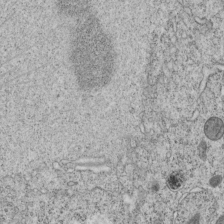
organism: C. elegans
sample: C. elegans embryo early stage